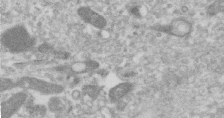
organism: Human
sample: Centriole in RPE cells